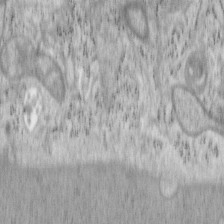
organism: Human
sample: HeLa cells